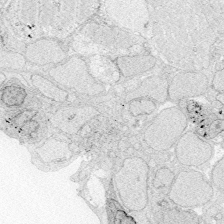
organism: Zebrafish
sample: Whole-Brain